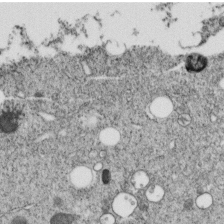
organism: C. elegans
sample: C. elegans embryo early stage